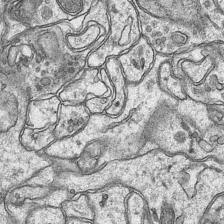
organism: Mouse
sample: CA1 Hippocampus